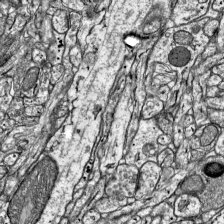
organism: Mouse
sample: Visual Cortex